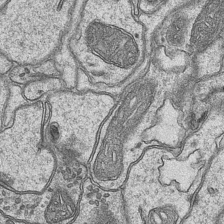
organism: Mouse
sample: CA1 Hippocampus